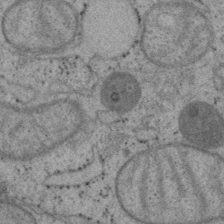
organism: Human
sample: HeLa cells